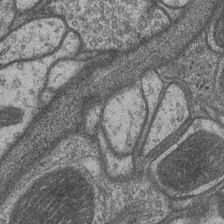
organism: Drosophila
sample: Optic medulla